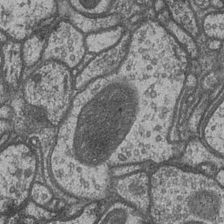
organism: Drosophila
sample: Optic medulla